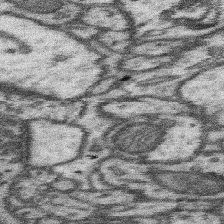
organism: Mouse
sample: Somatosensory cortex neuropil